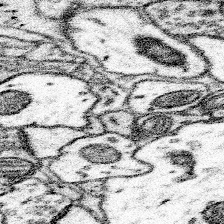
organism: Mouse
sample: Somatosensory cortex neuropil